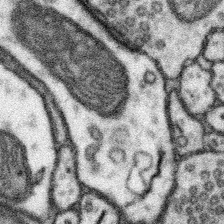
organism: Mouse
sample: Somatosensory cortex neuropil